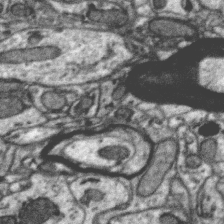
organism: Zebra finch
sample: Brain